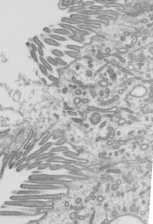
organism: Mouse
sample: Mouse epididymis efferent ductule cilia